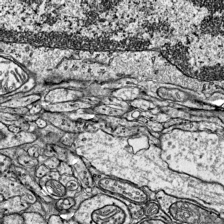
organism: Mouse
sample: Visual Cortex